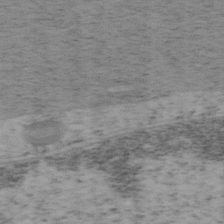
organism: Mouse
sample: OT-I killer T cells with ID8 ovarian cancer cells